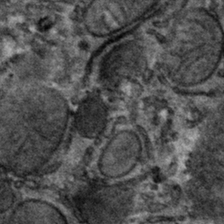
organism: Mouse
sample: Mouse hepatocytes